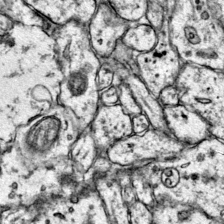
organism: Mouse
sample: Primary visual cortex